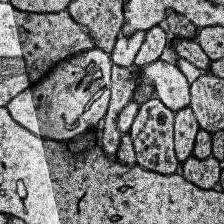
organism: Human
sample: Temporal Lobe